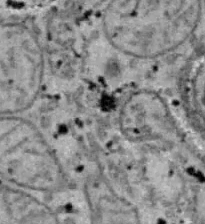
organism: Mouse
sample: Liver from an obese (ob/ob) mouse